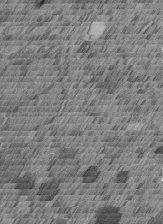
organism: C. elegans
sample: C. elegans embryo early stage